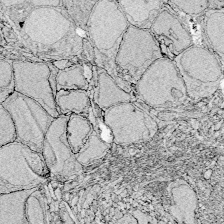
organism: Zebrafish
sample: Whole-Brain